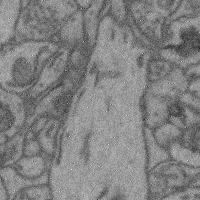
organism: Mouse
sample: Cerebral cortex